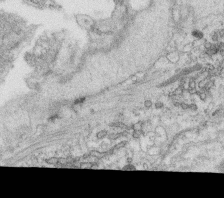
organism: C. elegans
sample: C. elegans oocyte; sperm cells